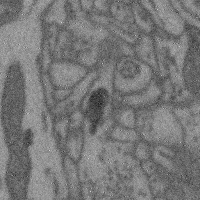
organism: Mouse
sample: Cerebral cortex